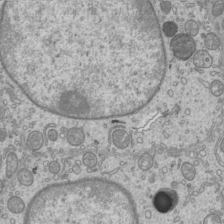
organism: Mouse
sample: Cilia; mouse epididymis